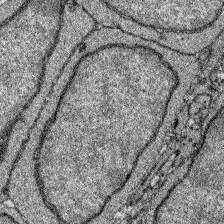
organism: Zebrafish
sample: Larval olfactory bulb